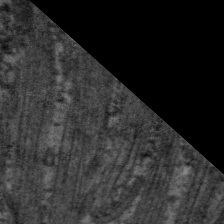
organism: C. elegans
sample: Pharynx